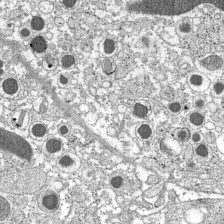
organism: C57BL Mouse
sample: Pancreatic islet